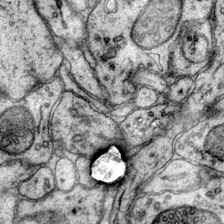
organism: Mouse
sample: Primary visual cortex